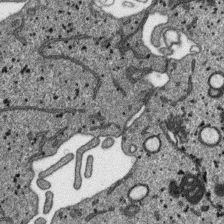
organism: Human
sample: Lung epithelial cells infected with SARS-CoV-2